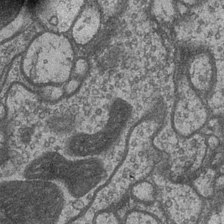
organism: Drosophila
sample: Optic medulla